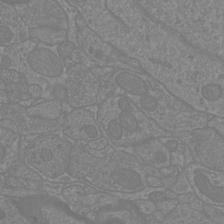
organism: Mouse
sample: Cortical neurons